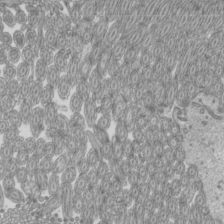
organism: Mouse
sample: Cilia; mouse epididymis